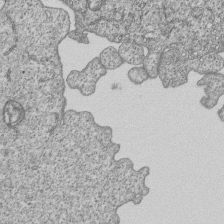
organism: Human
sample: MDA-MB-231 cells